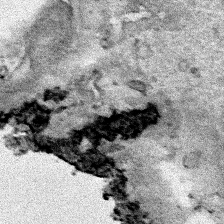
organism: Human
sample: Mitochondria in HCT116 cells